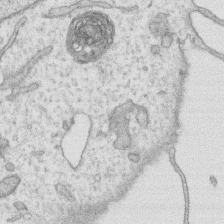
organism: Human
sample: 1205lu cells